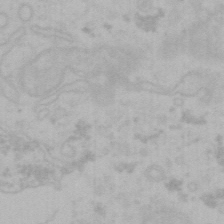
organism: Mouse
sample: Choroid plexus